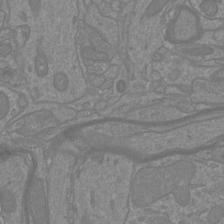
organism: Mouse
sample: Cortical neurons